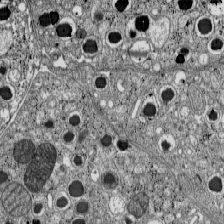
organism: C57BL Mouse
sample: Pancreatic islet